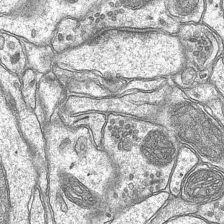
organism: Mouse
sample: CA1 Hippocampus